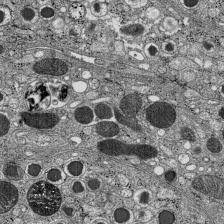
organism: C57BL Mouse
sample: Pancreatic islet